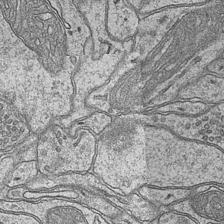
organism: Mouse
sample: CA1 Hippocampus